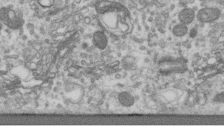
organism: Human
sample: Centriole in RPE cells